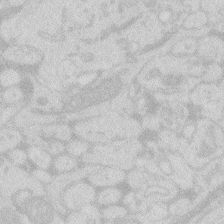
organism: Zebrafish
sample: Macrophage